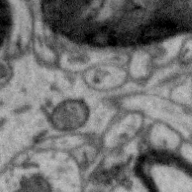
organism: Zebra finch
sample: Brain